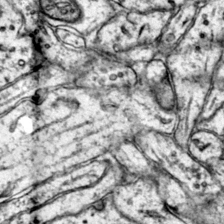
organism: Mouse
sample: Primary visual cortex